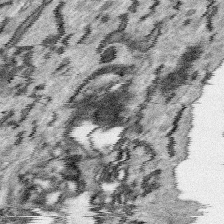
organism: Human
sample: HeLa cells